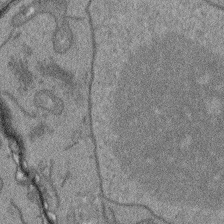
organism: Arabidopsis thaliana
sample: Root tip